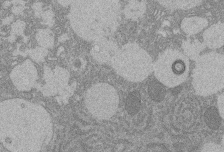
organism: Rat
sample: Salivary granule